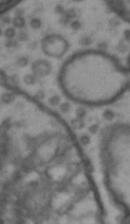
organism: Drosophila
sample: Brain